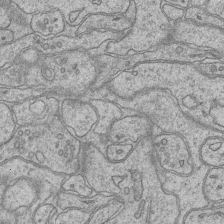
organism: Mouse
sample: CA1 Hippocampus